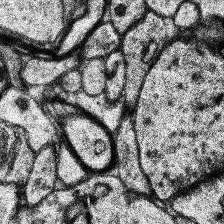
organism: Human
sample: Temporal Lobe